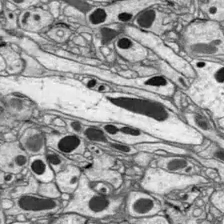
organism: Drosophila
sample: Optic lobe